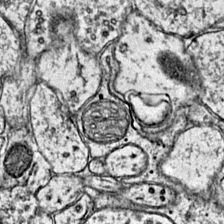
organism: Mouse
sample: Primary visual cortex